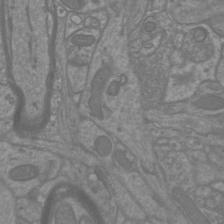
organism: Mouse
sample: Cortical neurons